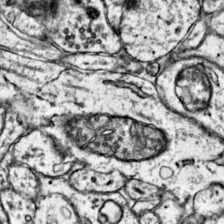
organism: Mouse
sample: Primary visual cortex